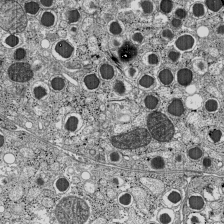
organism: C57BL Mouse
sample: Pancreatic islet